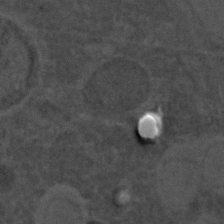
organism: C. elegans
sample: C. elegans embryo